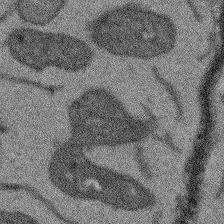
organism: Arabidopsis thaliana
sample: Root tip